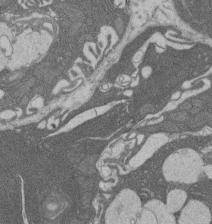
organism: Rat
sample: Salivary granule